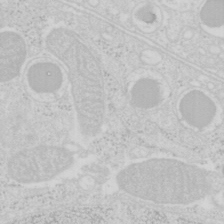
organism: Mouse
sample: Pancreas